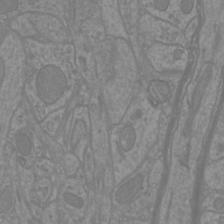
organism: Mouse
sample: Cortical neurons